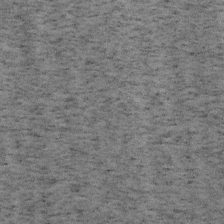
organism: Mouse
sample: OT-I killer T cells with ID8 ovarian cancer cells